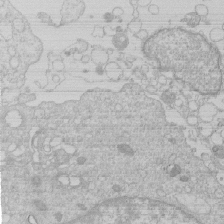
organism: Human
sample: Macrophage cells